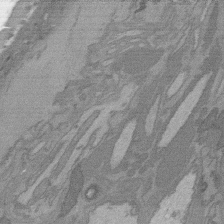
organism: C. elegans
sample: AFD neurons C. elegans